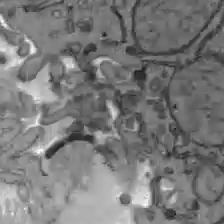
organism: C57BL Mouse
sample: Liver